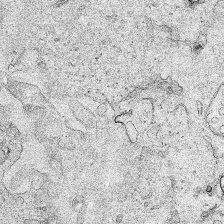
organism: Human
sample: Mitochondria in HCT116 cells